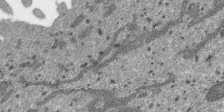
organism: Human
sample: Lung epithelial cells infected with SARS-CoV-2